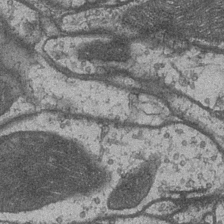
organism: Drosophila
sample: Optic medulla